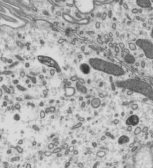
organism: Mouse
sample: Mouse epididymis efferent ductule cilia